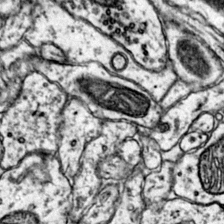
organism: Mouse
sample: Primary visual cortex